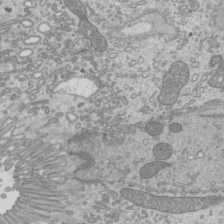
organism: Mouse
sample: Cilia; mouse epididymis